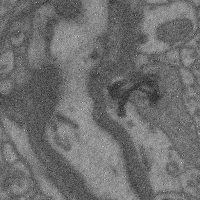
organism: Mouse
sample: Cerebral cortex